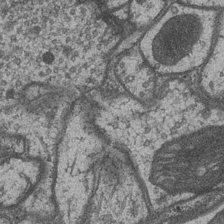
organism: Drosophila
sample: Optic medulla